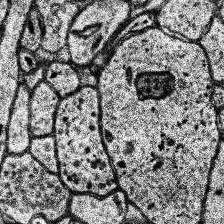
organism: Human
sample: Temporal Lobe